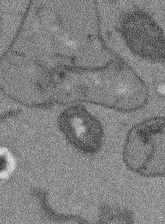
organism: Arabidopsis thaliana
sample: Root tip